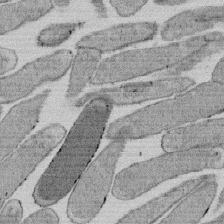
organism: E. coli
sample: Bacterial nucleoid